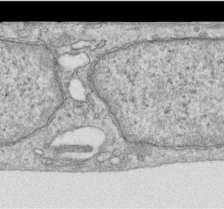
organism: Human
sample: Centriole in RPE cells